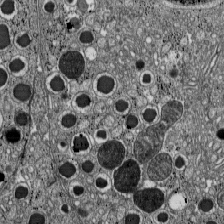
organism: C57BL Mouse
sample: Pancreatic islet